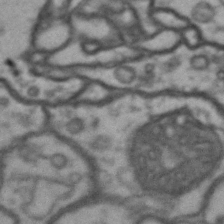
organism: Drosophila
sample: Brain